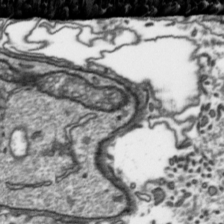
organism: Toxoplasma gondii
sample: Parasites in a vacuole inside a host cell